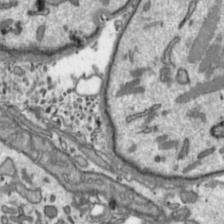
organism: Toxoplasma gondii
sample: Parasites in a vacuole inside a host cell